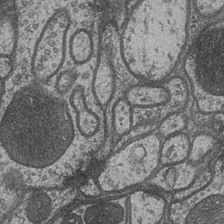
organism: Drosophila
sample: Optic medulla